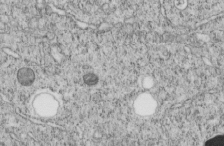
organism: C. elegans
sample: C. elegans embryo early stage